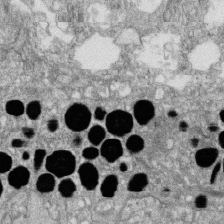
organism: Zebrafish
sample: Cilia; retinal pigment epithelium